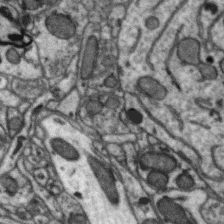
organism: Zebra finch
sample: Brain